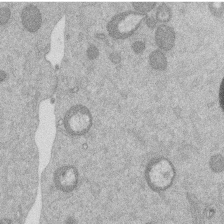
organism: Mouse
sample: Dividing mouse embryo 1 cell stage